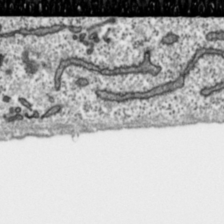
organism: Toxoplasma gondii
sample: Parasites in a vacuole inside a host cell